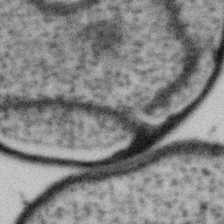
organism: Gemmata obscuriglobus